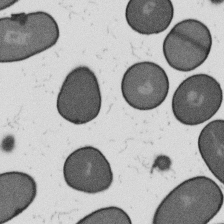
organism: B. subtilis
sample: Bacterial spore